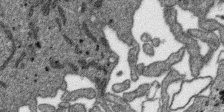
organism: Human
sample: Lung epithelial cells infected with SARS-CoV-2